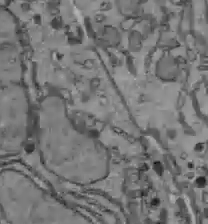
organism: C57BL Mouse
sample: Liver